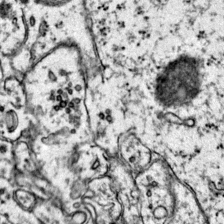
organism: Mouse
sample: Primary visual cortex